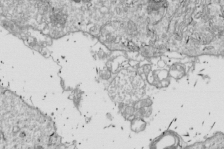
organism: Drosophila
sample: Cell division; meiosis; drosophila spermatocytes